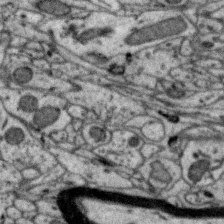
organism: Zebra finch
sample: Brain